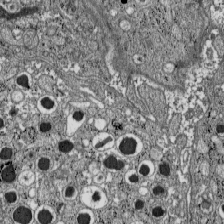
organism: C57BL Mouse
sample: Pancreatic islet